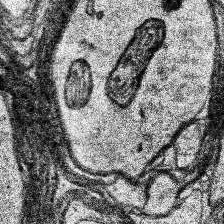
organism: Human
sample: Temporal Lobe